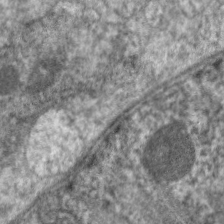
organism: C. elegans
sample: Pharynx